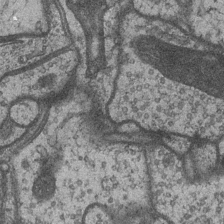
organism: Drosophila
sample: Optic medulla